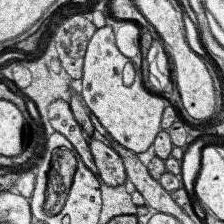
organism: Human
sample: Temporal Lobe